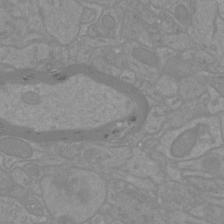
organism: Mouse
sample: Cortical neurons